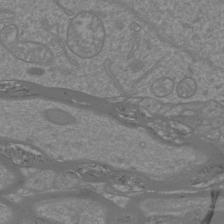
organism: Mouse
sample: Cortical neurons